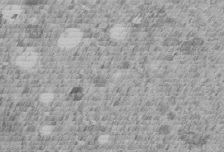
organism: C. elegans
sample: C. elegans embryo early stage